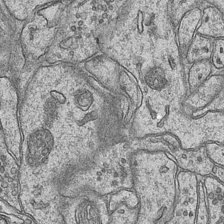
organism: Mouse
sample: CA1 Hippocampus